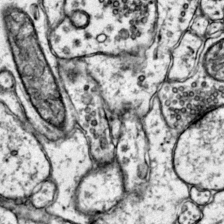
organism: Mouse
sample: Primary visual cortex